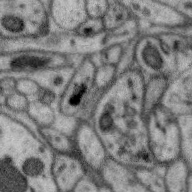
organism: Zebra finch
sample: Brain